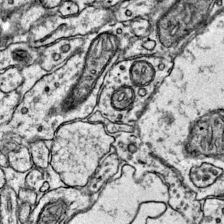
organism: Mouse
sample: Primary visual cortex